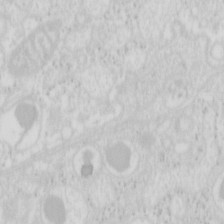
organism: Mouse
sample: Pancreas